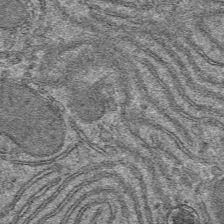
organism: Mouse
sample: Mouse hepatocytes